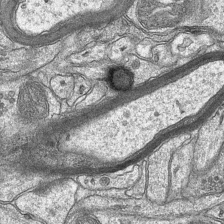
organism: Mouse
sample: CA1 Hippocampus